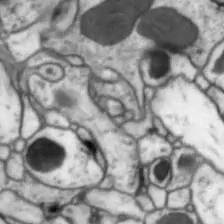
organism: Drosophila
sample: Optic lobe